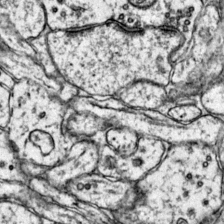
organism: Mouse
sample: Primary visual cortex